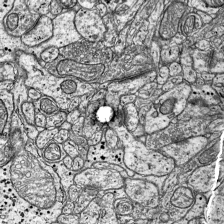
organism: Mouse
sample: Visual Cortex